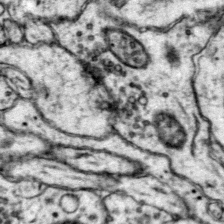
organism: Mouse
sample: Primary visual cortex